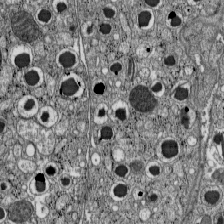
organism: C57BL Mouse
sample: Pancreatic islet